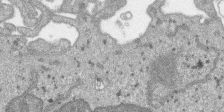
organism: Human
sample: Lung epithelial cells infected with SARS-CoV-2